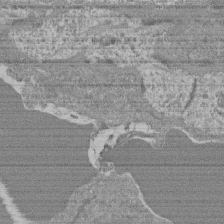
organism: Mouse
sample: Glomerulus